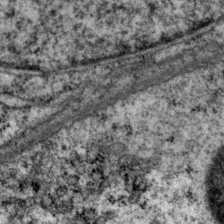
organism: P. pacificus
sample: Pharynx